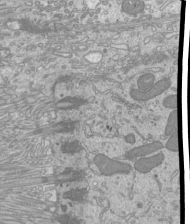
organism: Mouse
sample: Cilia; mouse epididymis